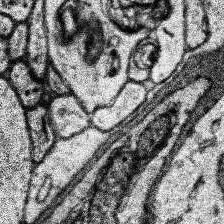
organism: Human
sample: Temporal Lobe